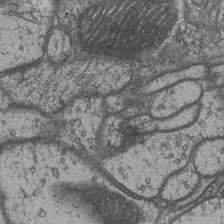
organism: Drosophila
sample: Optic medulla